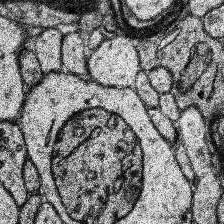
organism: Human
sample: Temporal Lobe